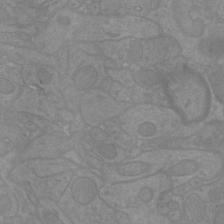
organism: Mouse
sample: Cortical neurons